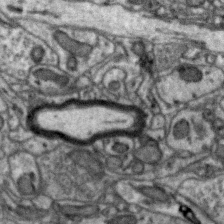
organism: Zebra finch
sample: Brain